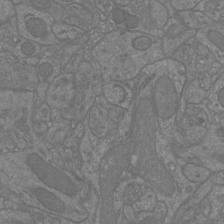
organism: Mouse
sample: Cortical neurons